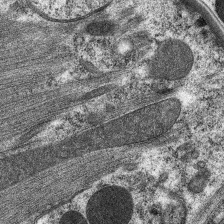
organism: C. elegans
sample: Pharynx